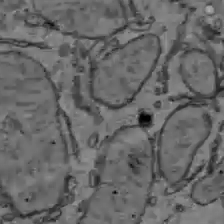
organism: C57BL Mouse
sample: Liver